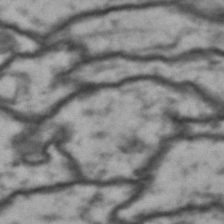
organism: Drosophila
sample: Brain